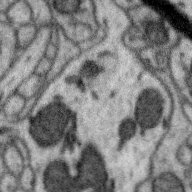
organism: Zebra finch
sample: Brain